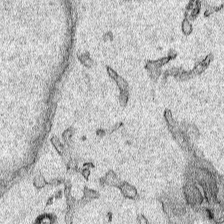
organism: Human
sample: Mitochondria in HCT116 cells